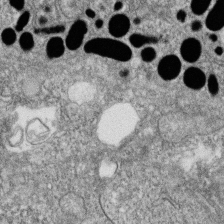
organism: Zebrafish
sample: Cilia; retinal pigment epithelium